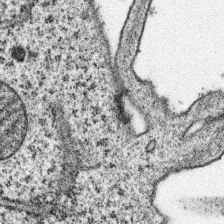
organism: Human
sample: HeLa cells